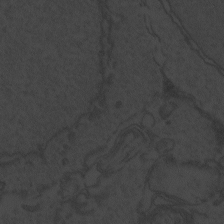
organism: Zebrafish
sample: Macrophage infected with Toxoplasma gondii